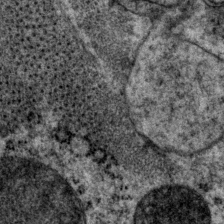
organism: P. pacificus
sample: Pharynx